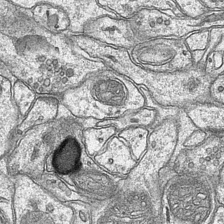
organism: Mouse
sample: CA1 Hippocampus